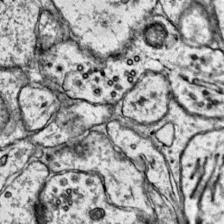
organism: Mouse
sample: Primary visual cortex